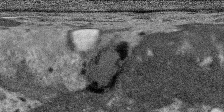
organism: Human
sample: Lung epithelial cells infected with SARS-CoV-2